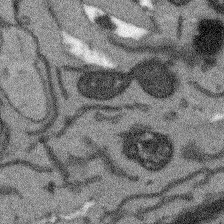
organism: Arabidopsis thaliana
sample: Root tip